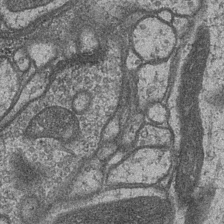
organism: Drosophila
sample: Optic medulla